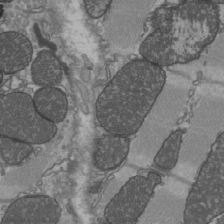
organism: C57BL Mouse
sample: Heart